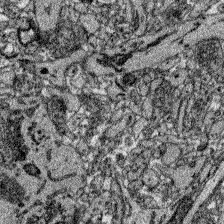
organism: Zebrafish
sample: Larval olfactory bulb